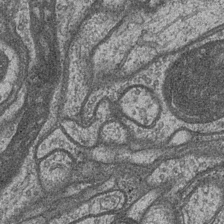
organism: Drosophila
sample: Optic medulla